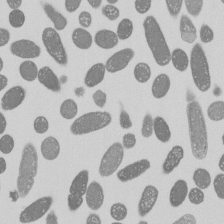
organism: E. coli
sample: Bacterial nucleoid